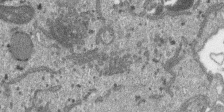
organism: Human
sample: Lung epithelial cells infected with SARS-CoV-2